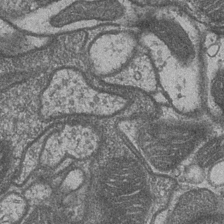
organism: Drosophila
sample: Optic medulla